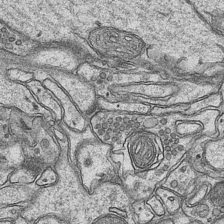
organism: Mouse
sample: CA1 Hippocampus